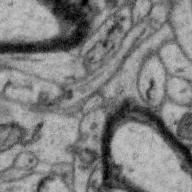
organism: Zebra finch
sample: Brain